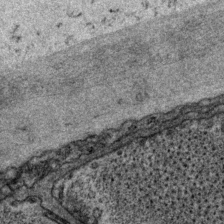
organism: P. pacificus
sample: Pharynx